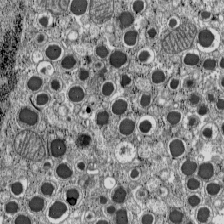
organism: C57BL Mouse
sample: Pancreatic islet